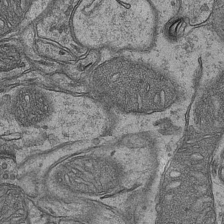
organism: Mouse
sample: CA1 Hippocampus